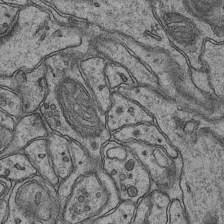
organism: Mouse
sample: CA1 Hippocampus